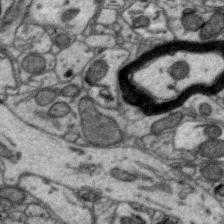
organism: Zebra finch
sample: Brain